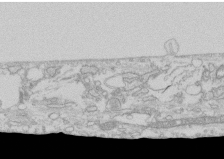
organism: Human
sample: CRL-1474